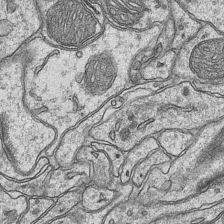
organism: Mouse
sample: CA1 Hippocampus